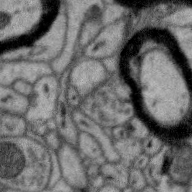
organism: Zebra finch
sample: Brain